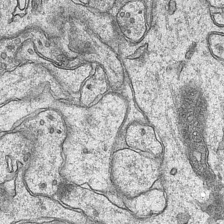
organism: Mouse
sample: CA1 Hippocampus